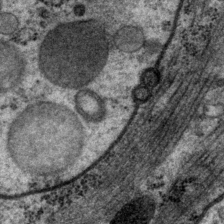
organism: P. pacificus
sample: Pharynx